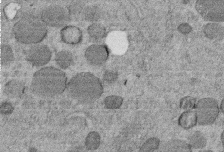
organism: C. elegans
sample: C. elegans embryo early stage